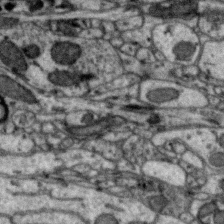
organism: Zebra finch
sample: Brain